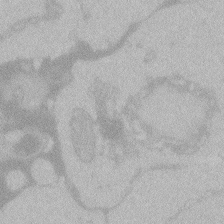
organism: Zebrafish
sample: Macrophage infected with Toxoplasma gondii